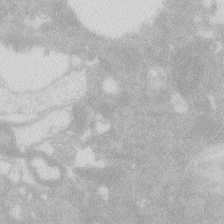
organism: Zebrafish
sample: Macrophage